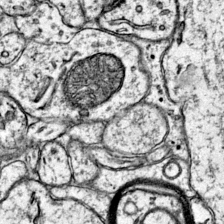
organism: Mouse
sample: Primary visual cortex